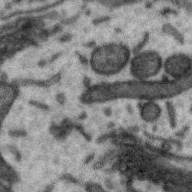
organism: Zebra finch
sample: Brain